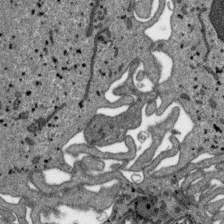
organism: Human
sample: Lung epithelial cells, uninfected (mock) control